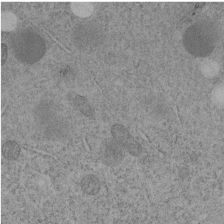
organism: C. elegans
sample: C. elegans embryo early stage